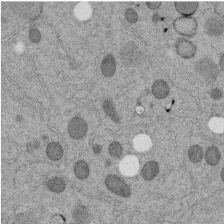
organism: C. elegans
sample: C. elegans embryo early stage